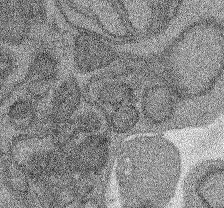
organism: Human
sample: HeLa cells